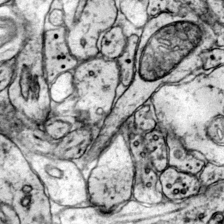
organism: Mouse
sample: Primary visual cortex